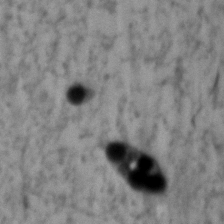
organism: Zebrafish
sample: Zebrafish embryo